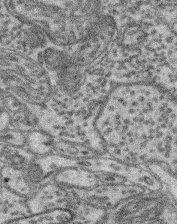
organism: Mouse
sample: Retina